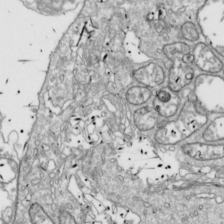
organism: Drosophila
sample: Cell division; meiosis; drosophila spermatocytes